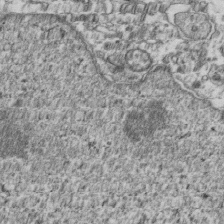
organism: Human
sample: Activated Jurkat CD4+ T cells